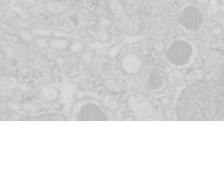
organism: Mouse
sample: Pancreas